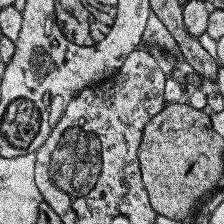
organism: Human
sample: Temporal Lobe